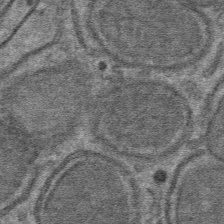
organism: Mouse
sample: Mouse hepatocytes